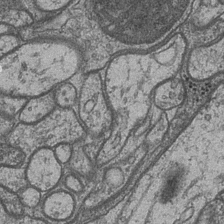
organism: Drosophila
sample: Optic medulla